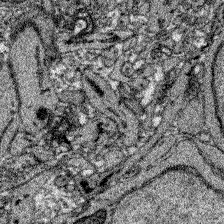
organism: Zebrafish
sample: Larval olfactory bulb